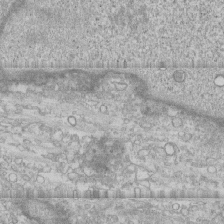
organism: Human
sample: CRL-1474